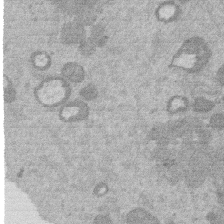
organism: Mouse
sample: Dividing mouse embryo 1 cell stage